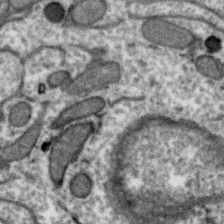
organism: Zebra finch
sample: Brain